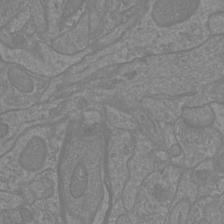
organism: Mouse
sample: Cortical neurons